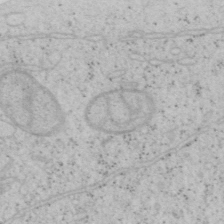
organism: Human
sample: HeLa cells